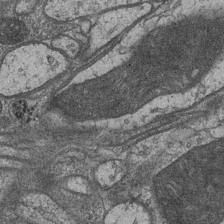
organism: Drosophila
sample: Optic medulla